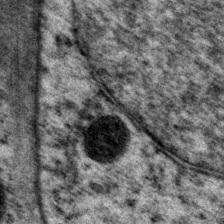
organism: P. pacificus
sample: Pharynx